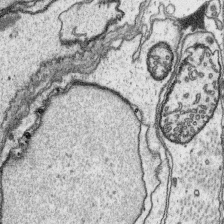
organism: Platynereis dumerilii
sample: Parapodia